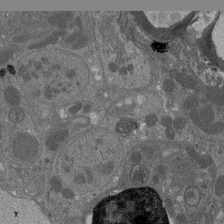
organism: Drosophila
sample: Antenna